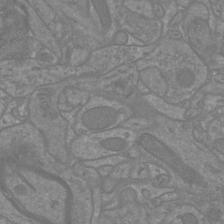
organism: Mouse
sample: Cortical neurons